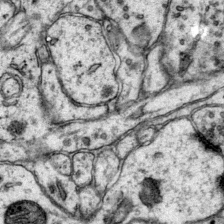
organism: Mouse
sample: Primary visual cortex